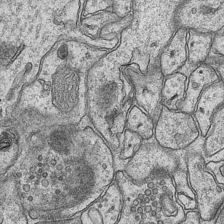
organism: Mouse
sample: CA1 Hippocampus